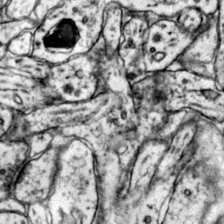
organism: Mouse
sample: Primary visual cortex